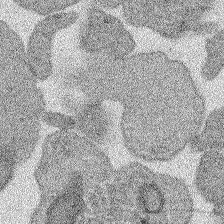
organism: Human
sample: HeLa cells